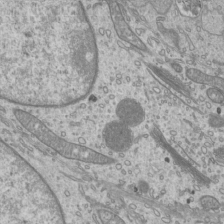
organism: Mouse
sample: Cilia; mouse epididymis